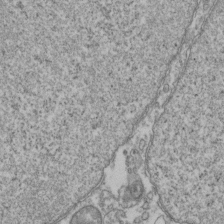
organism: Human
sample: Activated Jurkat CD4+ T cells